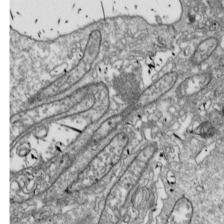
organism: Drosophila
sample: Cell division; meiosis; drosophila spermatocytes